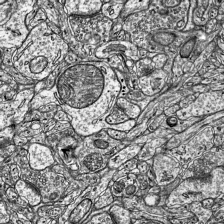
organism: Mouse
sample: Visual Cortex